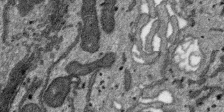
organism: Human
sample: Lung epithelial cells, uninfected (mock) control